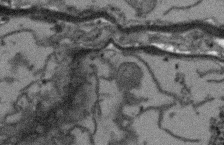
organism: Arabidopsis thaliana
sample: Root tip